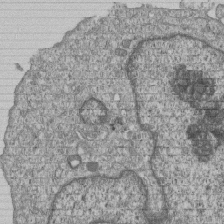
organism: Human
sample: MDA-MB-231 cells